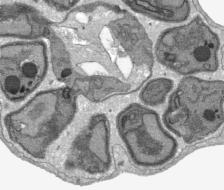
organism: Plasmodium falciparum